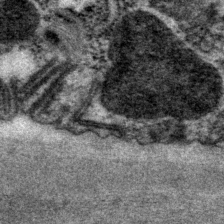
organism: P. pacificus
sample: Pharynx